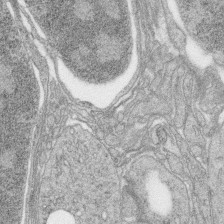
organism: Zebrafish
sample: synaptic ribbons in rod cells and cone cells